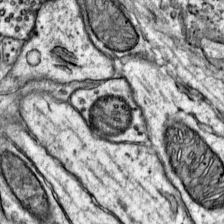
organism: Mouse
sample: Primary visual cortex